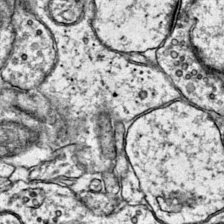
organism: Mouse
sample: Primary visual cortex